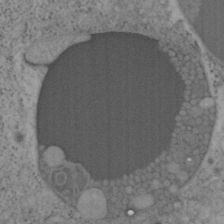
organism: Mouse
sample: OT-I killer T cells with ID8 ovarian cancer cells